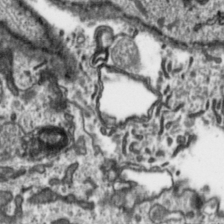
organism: Toxoplasma gondii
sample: Parasites in a vacuole inside a host cell